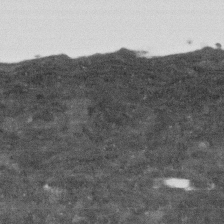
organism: Human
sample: Fibroblast cells